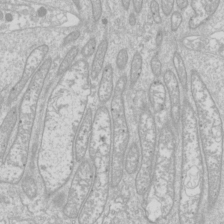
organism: Drosophila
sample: Cell division; meiosis; drosophila spermatocytes